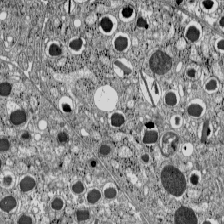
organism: C57BL Mouse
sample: Pancreatic islet